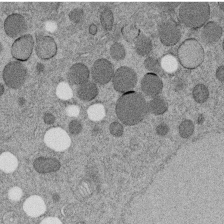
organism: C. elegans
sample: C. elegans embryo early stage